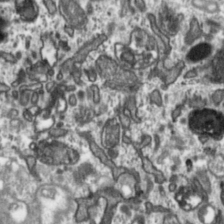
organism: Toxoplasma gondii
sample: Parasites in a vacuole inside a host cell